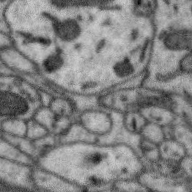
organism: Zebra finch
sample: Brain